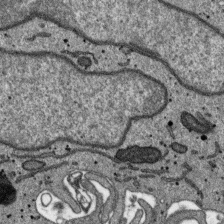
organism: Human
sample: Lung epithelial cells, uninfected (mock) control